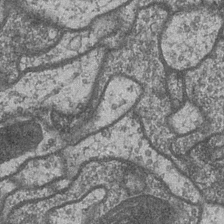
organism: Drosophila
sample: Optic medulla